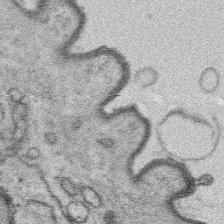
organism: Platynereis dumerilii